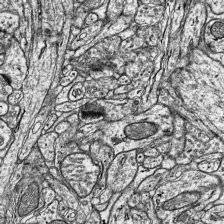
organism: Mouse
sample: Visual Cortex